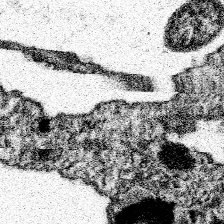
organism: Spongilla lacustris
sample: Neuroid cell